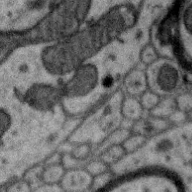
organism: Zebra finch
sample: Brain